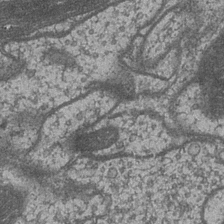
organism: Drosophila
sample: Optic medulla